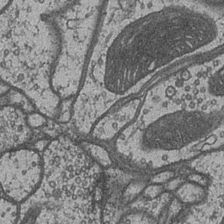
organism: Drosophila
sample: Optic medulla